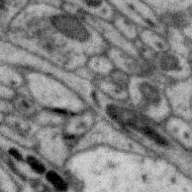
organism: Zebra finch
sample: Brain